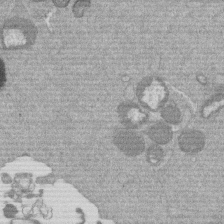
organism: Mouse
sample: Dividing mouse embryo 1 cell stage